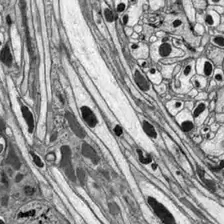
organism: Drosophila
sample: Optic lobe